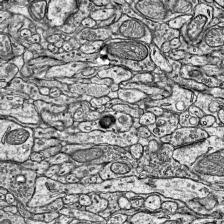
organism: Mouse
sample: Visual Cortex